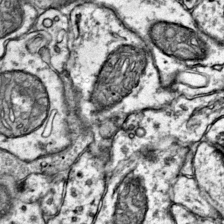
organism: Mouse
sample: Primary visual cortex